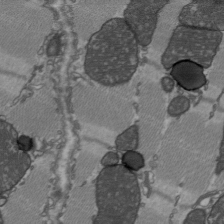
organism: C57BL Mouse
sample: Heart